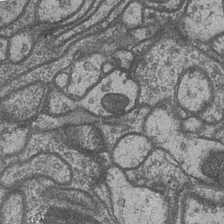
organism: Drosophila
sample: Optic medulla